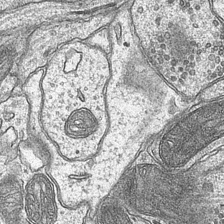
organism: Mouse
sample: CA1 Hippocampus